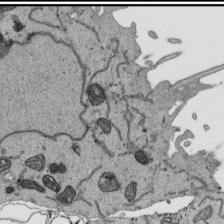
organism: Human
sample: Mitochondria in HCT116 cells